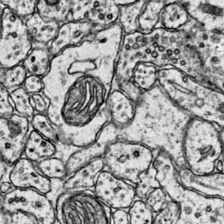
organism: Mouse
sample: Primary visual cortex